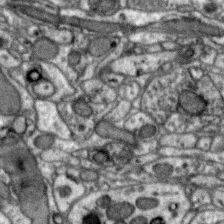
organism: Zebra finch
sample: Brain